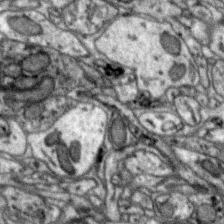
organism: Zebra finch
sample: Brain